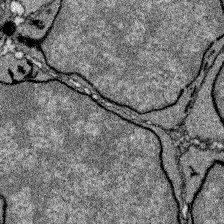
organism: Zebrafish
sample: Larval olfactory bulb